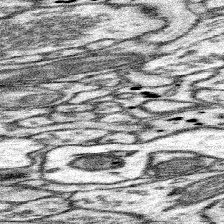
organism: Mouse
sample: Somatosensory cortex neuropil